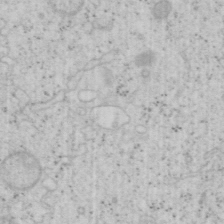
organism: Human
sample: HeLa cells